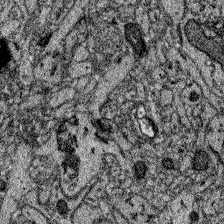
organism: Zebrafish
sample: Larval olfactory bulb